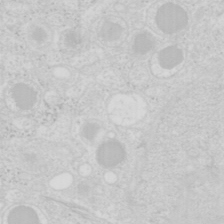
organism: Mouse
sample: Pancreas